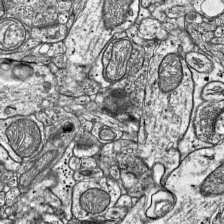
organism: Mouse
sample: Visual Cortex